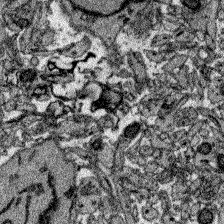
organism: Zebrafish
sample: Larval olfactory bulb